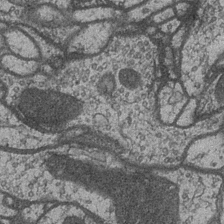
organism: Drosophila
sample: Optic medulla